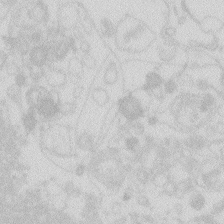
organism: Zebrafish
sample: Macrophage